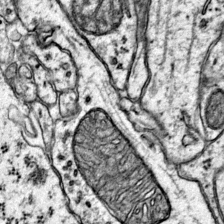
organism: Mouse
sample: Primary visual cortex